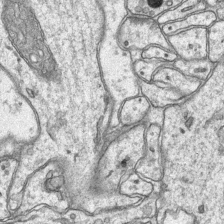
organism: Mouse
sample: CA1 Hippocampus